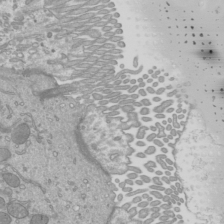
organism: Mouse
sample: Cilia; mouse epididymis